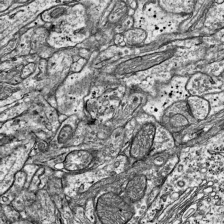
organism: Mouse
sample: Visual Cortex